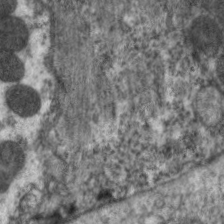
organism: C. elegans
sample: Pharynx